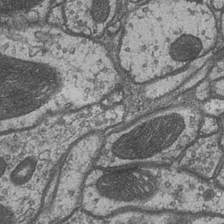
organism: Drosophila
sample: Optic medulla